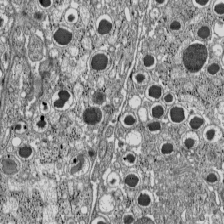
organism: C57BL Mouse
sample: Pancreatic islet